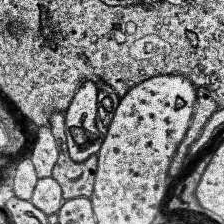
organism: Human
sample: Temporal Lobe